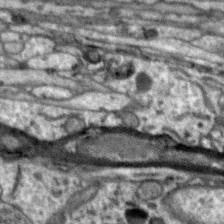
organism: Zebra finch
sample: Brain